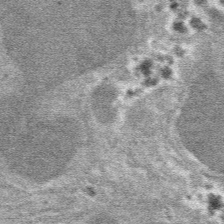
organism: Mouse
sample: Mouse hepatocytes